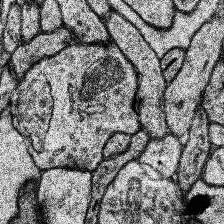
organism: Human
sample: Temporal Lobe